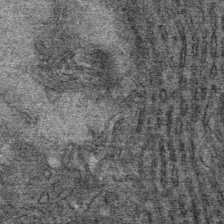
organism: Mouse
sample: Mouse Salivary gland